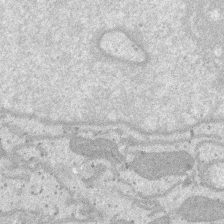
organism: Human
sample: Lung epithelial cells infected with SARS-CoV-2